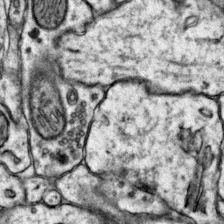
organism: Mouse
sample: Primary visual cortex